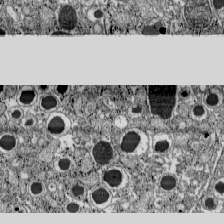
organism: C57BL Mouse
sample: Pancreatic islet